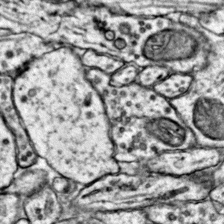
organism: Mouse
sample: Primary visual cortex